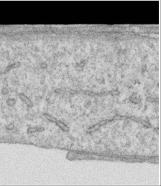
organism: Human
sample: Centriole in RPE cells